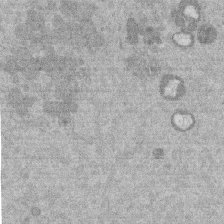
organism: Mouse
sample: Dividing mouse embryo 1 cell stage